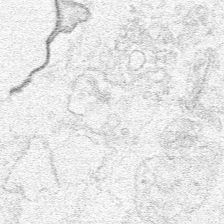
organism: Human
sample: Mitochondria in HCT116 cells